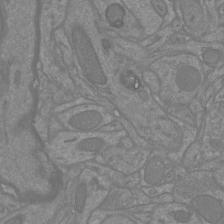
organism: Mouse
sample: Cortical neurons